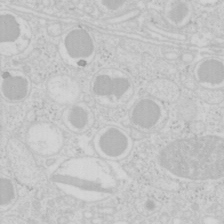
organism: Mouse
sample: Pancreas